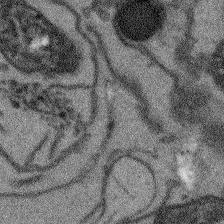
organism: Arabidopsis thaliana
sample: Root tip